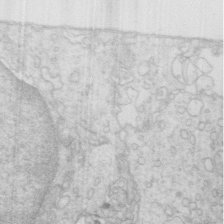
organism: Mouse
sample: Multiciliated cells